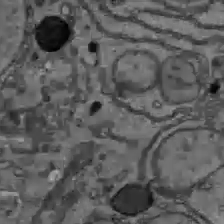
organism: C57BL Mouse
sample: Liver